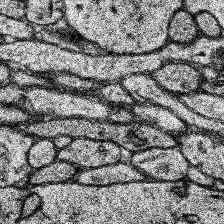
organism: Human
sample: Temporal Lobe